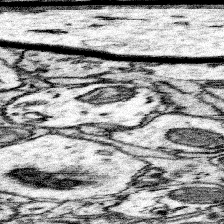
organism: Mouse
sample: Somatosensory cortex neuropil